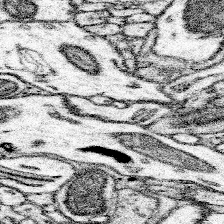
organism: Mouse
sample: Somatosensory cortex neuropil